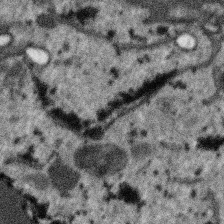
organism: Human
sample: Lung epithelial cells infected with SARS-CoV-2